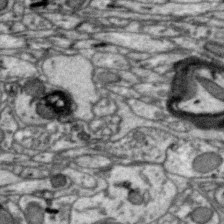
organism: Zebra finch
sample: Brain